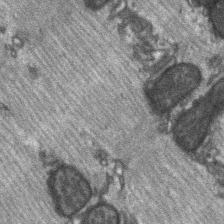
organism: C57BL Mouse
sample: Soleus